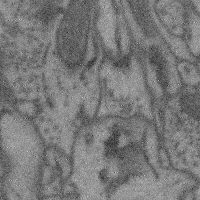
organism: Mouse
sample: Cerebral cortex